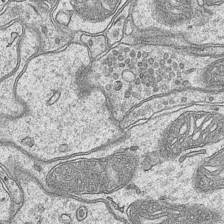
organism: Mouse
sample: CA1 Hippocampus